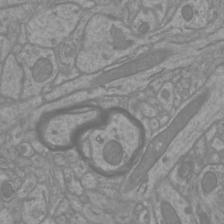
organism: Mouse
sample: Cortical neurons